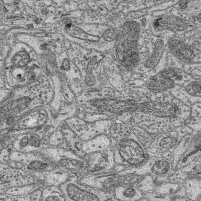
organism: Mouse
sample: Retina